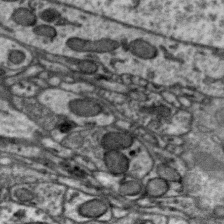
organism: Zebra finch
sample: Brain